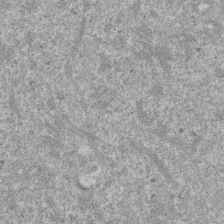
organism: Mouse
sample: Dividing mouse embryo 1 cell stage